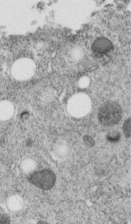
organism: C. elegans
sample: C. elegans embryo early stage